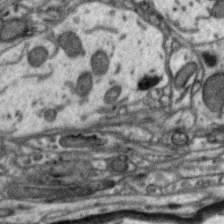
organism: Zebra finch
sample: Brain